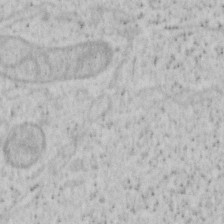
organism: Human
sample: HeLa cells